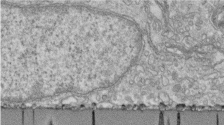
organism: Human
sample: Centriole in fibroblast cells